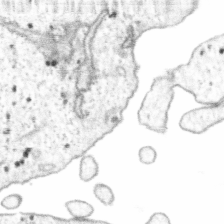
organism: Human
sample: HeLa cells